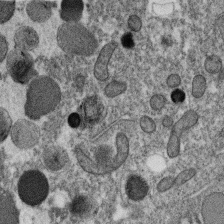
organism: C. elegans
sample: C. elegans oocyte; sperm cells